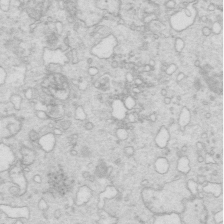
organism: Mouse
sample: Multiciliated cells